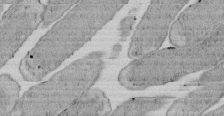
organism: E. coli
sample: Bacterial nucleoid